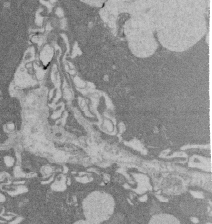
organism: Rat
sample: Salivary granule